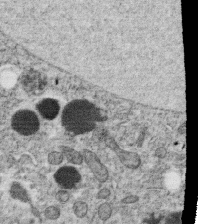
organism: C. elegans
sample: C. elegans oocyte; sperm cells